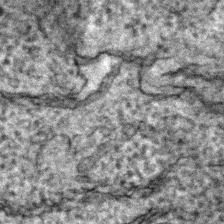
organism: Zebrafish